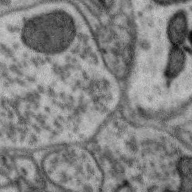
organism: Zebra finch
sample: Brain